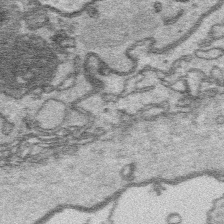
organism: Platynereis dumerilii